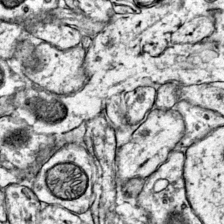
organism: Mouse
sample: Primary visual cortex